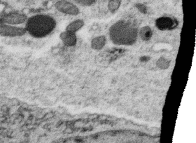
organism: C. elegans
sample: C. elegans oocyte; sperm cells